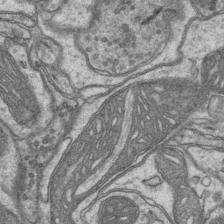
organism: Mouse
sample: CA1 Hippocampus